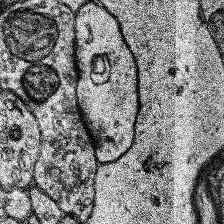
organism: Human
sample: Temporal Lobe